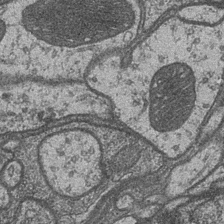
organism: Drosophila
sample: Optic medulla